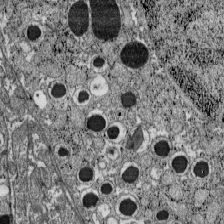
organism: C57BL Mouse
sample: Pancreatic islet